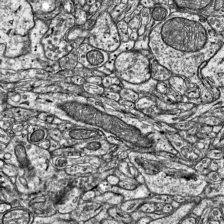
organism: Mouse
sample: Visual Cortex